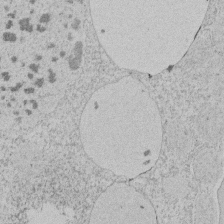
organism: Tetrahymena